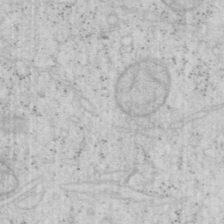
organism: Human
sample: HeLa cells